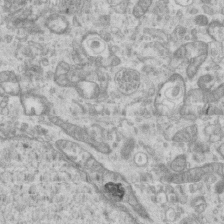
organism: Mouse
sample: Centriole in ependymal cells